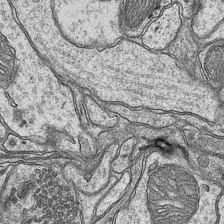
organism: Mouse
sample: CA1 Hippocampus